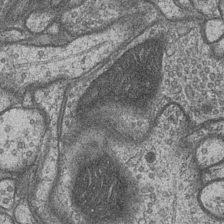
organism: Drosophila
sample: Optic medulla